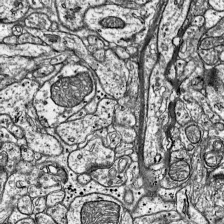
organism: Mouse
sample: Visual Cortex